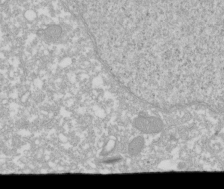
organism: Xenopus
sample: Cilia; centrioles in frog embryo cells